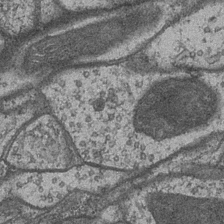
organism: Drosophila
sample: Optic medulla